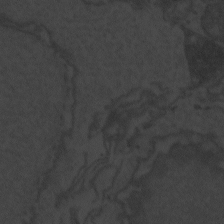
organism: Zebrafish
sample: Macrophage infected with Toxoplasma gondii